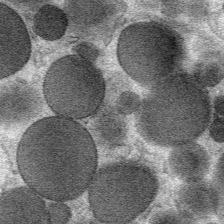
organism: Mouse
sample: Mouse Salivary gland